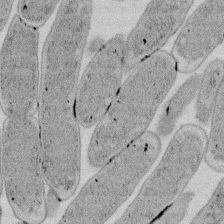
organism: E. coli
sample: Bacterial nucleoid